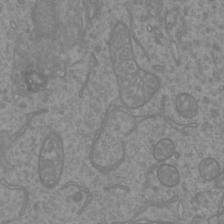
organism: Mouse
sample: Cortical neurons